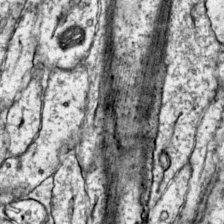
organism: Mouse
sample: Primary visual cortex